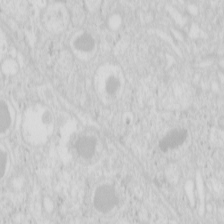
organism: Mouse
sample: Pancreas